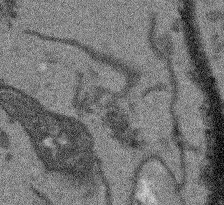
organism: Arabidopsis thaliana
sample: Root tip